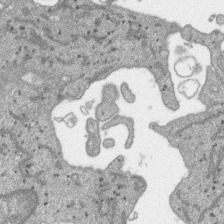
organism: Human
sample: Lung epithelial cells infected with SARS-CoV-2